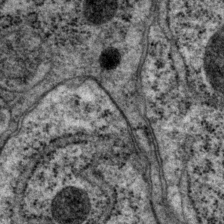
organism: P. pacificus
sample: Pharynx